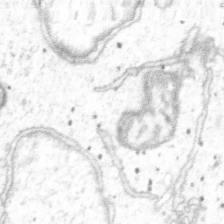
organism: Human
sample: HeLa cells